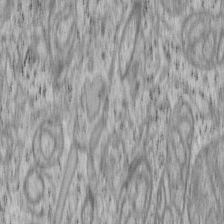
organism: Human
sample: HeLa cells